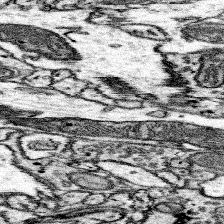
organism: Mouse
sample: Somatosensory cortex neuropil